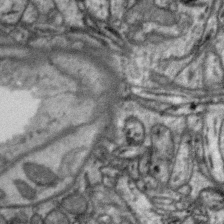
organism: Zebra finch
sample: Brain